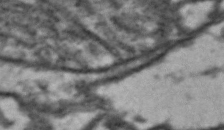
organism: Drosophila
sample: Brain